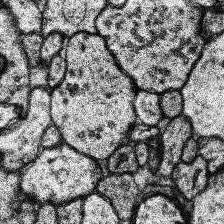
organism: Human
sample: Temporal Lobe